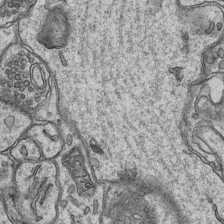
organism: Mouse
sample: CA1 Hippocampus